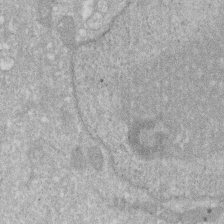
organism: Human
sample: HIV infected U937 cells